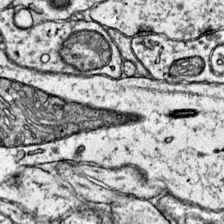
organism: Mouse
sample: Primary visual cortex